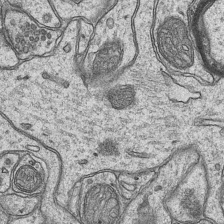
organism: Mouse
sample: CA1 Hippocampus